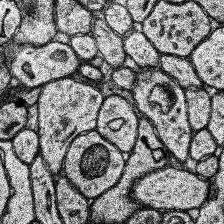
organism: Human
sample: Temporal Lobe